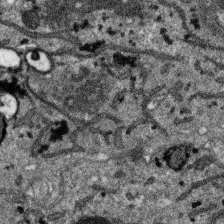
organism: Human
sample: Lung epithelial cells infected with SARS-CoV-2